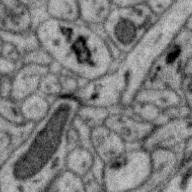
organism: Zebra finch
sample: Brain